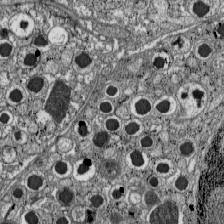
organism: C57BL Mouse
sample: Pancreatic islet